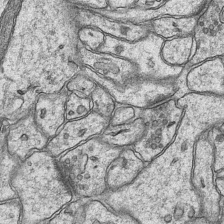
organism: Mouse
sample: CA1 Hippocampus